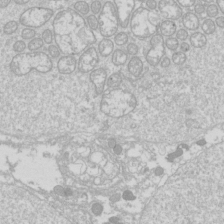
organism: Drosophila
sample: Cell division; meiosis; drosophila spermatocytes